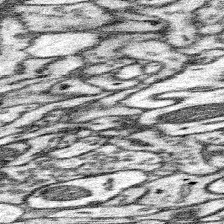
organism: Mouse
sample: Somatosensory cortex neuropil